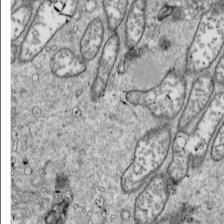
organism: Drosophila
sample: Cell division; meiosis; drosophila spermatocytes